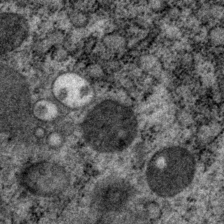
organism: P. pacificus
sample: Pharynx